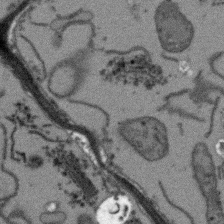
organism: Arabidopsis thaliana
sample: Root tip